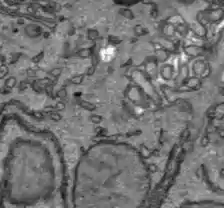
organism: C57BL Mouse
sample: Liver